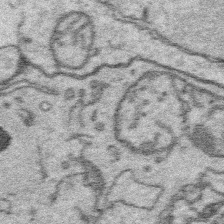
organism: Platynereis dumerilii